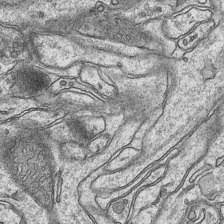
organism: Mouse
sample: CA1 Hippocampus